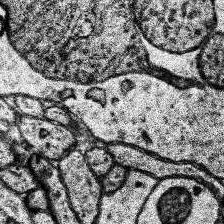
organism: Human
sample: Temporal Lobe